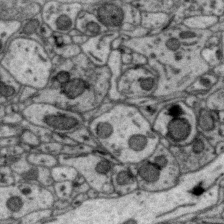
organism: Zebra finch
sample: Brain